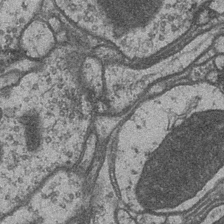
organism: Drosophila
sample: Optic medulla